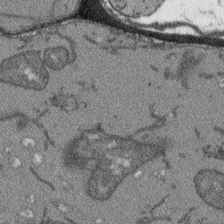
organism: Arabidopsis thaliana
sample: Root tip